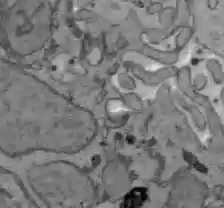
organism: C57BL Mouse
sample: Liver